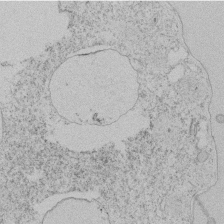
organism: Tetrahymena